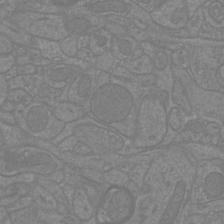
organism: Mouse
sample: Cortical neurons